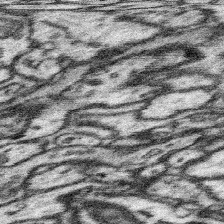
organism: Mouse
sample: Somatosensory cortex neuropil